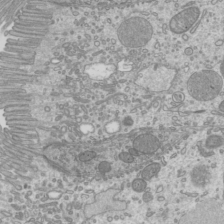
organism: Mouse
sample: Cilia; mouse epididymis